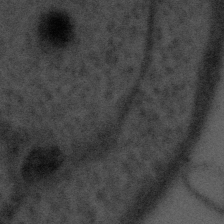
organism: Tuwongella immobilis